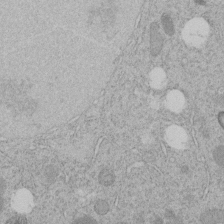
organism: C. elegans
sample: C. elegans embryo early stage